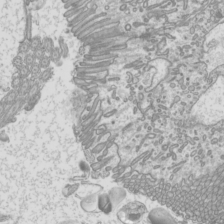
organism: Mouse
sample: Cilia; mouse epididymis